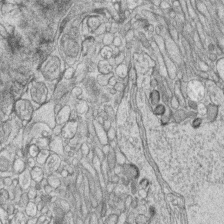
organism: Zebrafish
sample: synaptic ribbons in rod cells and cone cells